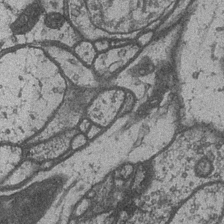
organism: Drosophila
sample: Optic medulla